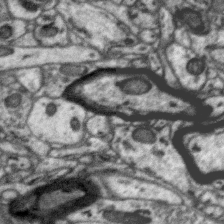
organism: Zebra finch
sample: Brain